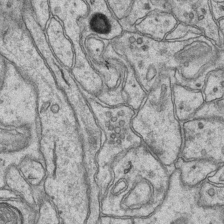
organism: Mouse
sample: CA1 Hippocampus